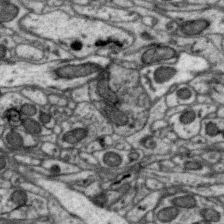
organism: Zebra finch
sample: Brain